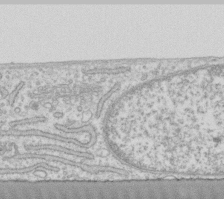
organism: Human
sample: Fibroblast cells